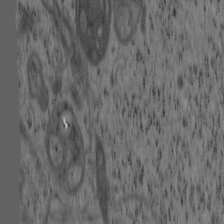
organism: Human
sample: HeLa cells